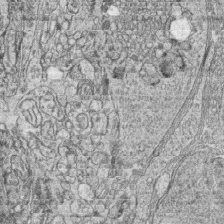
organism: Zebrafish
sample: synaptic ribbons in rod cells and cone cells